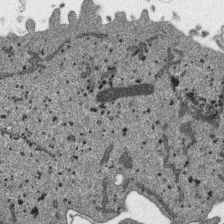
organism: Human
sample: Lung epithelial cells infected with SARS-CoV-2